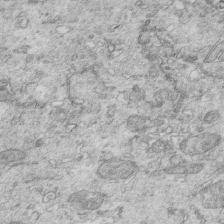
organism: Mouse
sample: Multiciliated cells